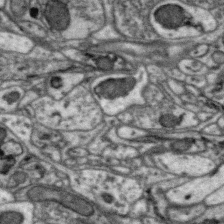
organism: Zebra finch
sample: Brain